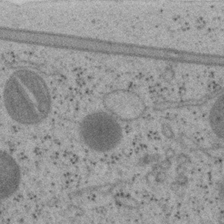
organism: Human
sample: HeLa cells